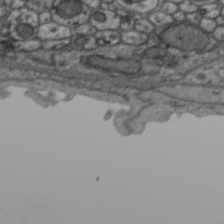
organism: Zebra finch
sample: Brain